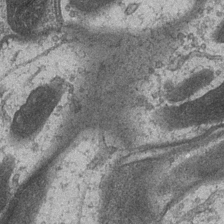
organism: Drosophila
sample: Optic medulla